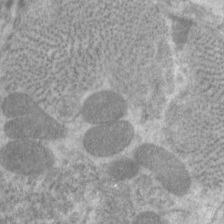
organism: C. elegans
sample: Pharynx